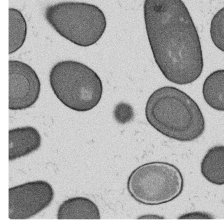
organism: B. subtilis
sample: Bacterial spore